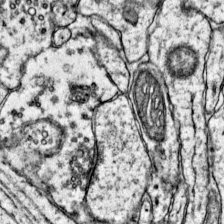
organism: Mouse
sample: Primary visual cortex